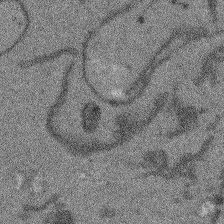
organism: Arabidopsis thaliana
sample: Root tip